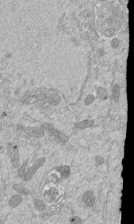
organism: Mouse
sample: ED-1 cell nuclei; centrioles